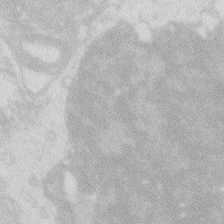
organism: Zebrafish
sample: Macrophage